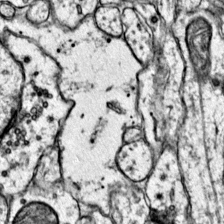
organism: Mouse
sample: Primary visual cortex